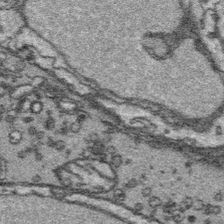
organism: Platynereis dumerilii